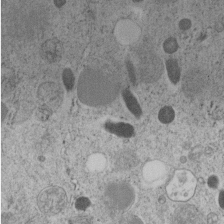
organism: C. elegans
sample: C. elegans embryo early stage